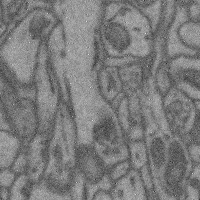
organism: Mouse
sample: Cerebral cortex